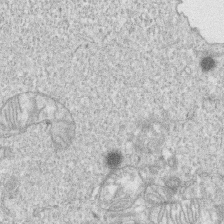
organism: Human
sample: HeLa cell HIV synapse